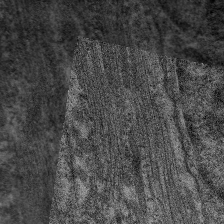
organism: C. elegans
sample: Pharynx